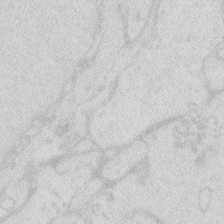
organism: Zebrafish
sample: Macrophage